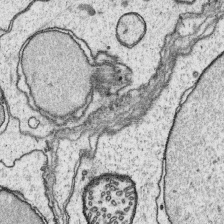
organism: Platynereis dumerilii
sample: Parapodia